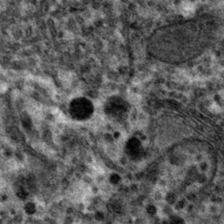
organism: Mouse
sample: Mouse hepatocytes